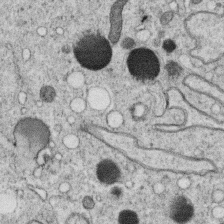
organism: C. elegans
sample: C. elegans oocyte; sperm cells